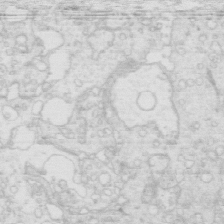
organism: Mouse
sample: Multiciliated cells